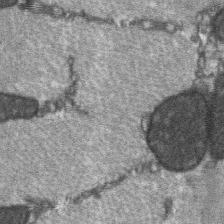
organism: C57BL Mouse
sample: Soleus